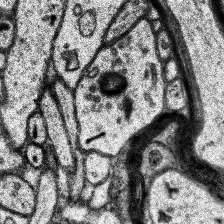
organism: Human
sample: Temporal Lobe